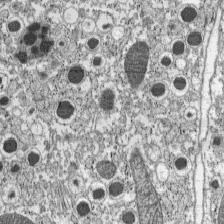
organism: C57BL Mouse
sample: Pancreatic islet